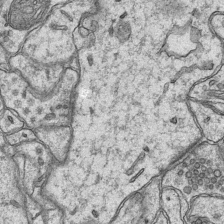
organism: Mouse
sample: CA1 Hippocampus